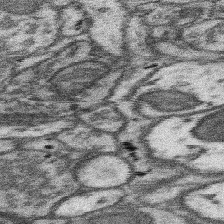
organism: Mouse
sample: Somatosensory cortex neuropil